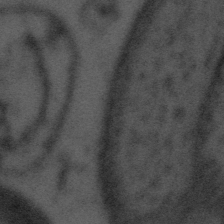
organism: Tuwongella immobilis